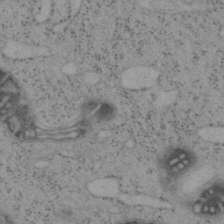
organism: Mouse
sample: OT-I killer T cells with ID8 ovarian cancer cells